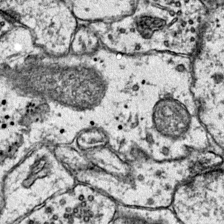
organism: Mouse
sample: Primary visual cortex